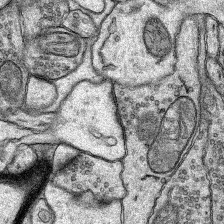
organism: Rat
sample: Hippocampus